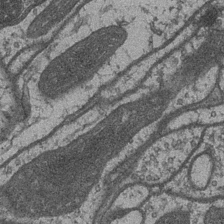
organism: Drosophila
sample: Optic medulla